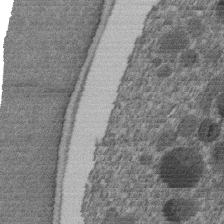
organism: C. elegans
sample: C. elegans embryo early stage